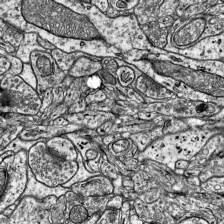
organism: Mouse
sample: Visual Cortex